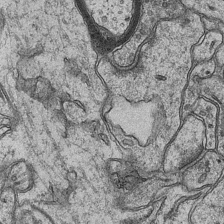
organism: Mouse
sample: CA1 Hippocampus